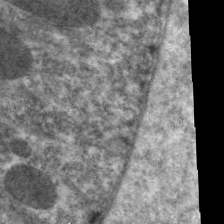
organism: C. elegans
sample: Pharynx